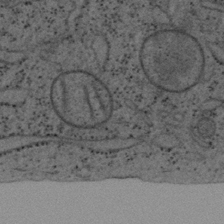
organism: Human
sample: HeLa cells